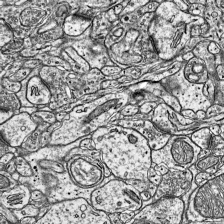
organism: Mouse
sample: Visual Cortex